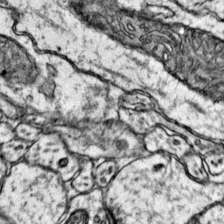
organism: Mouse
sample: Primary visual cortex